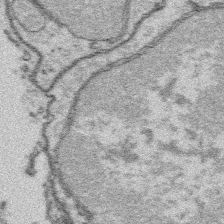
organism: Platynereis dumerilii